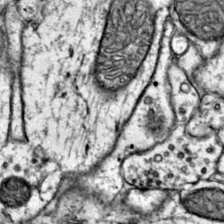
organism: Mouse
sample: Primary visual cortex